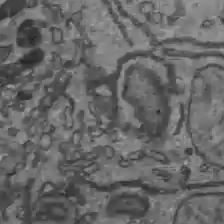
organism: C57BL Mouse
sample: Liver